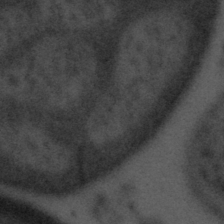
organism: Tuwongella immobilis